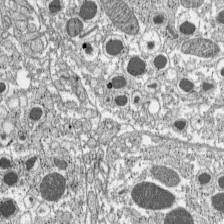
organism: C57BL Mouse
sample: Pancreatic islet